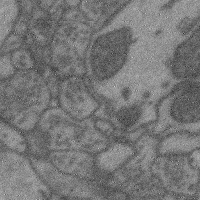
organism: Mouse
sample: Cerebral cortex